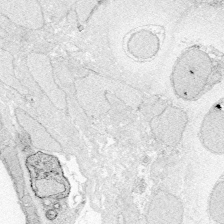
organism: Zebrafish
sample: Whole-Brain